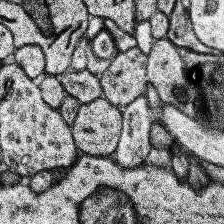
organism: Human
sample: Temporal Lobe